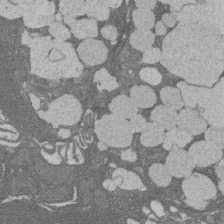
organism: Rat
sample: Salivary granule